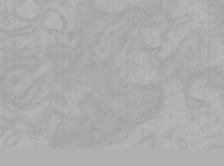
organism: Mouse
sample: Choroid plexus